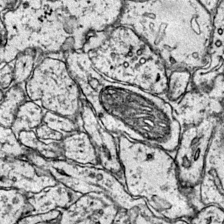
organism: Mouse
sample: Primary visual cortex